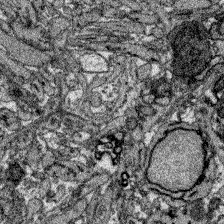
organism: Zebrafish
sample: Larval olfactory bulb